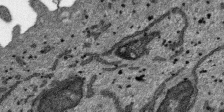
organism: Human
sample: Lung epithelial cells, uninfected (mock) control